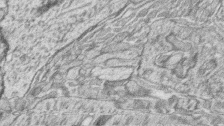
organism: Zebrafish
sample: synaptic ribbons in rod cells and cone cells